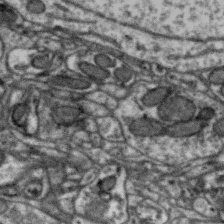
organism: Zebra finch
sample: Brain